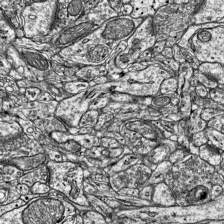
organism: Mouse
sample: Visual Cortex